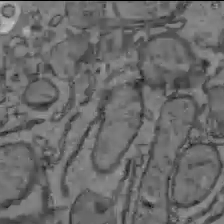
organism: C57BL Mouse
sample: Liver